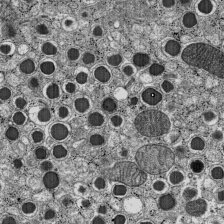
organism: C57BL Mouse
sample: Pancreatic islet